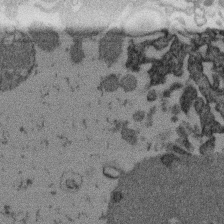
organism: Mouse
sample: Dividing mouse embryo 1 cell stage